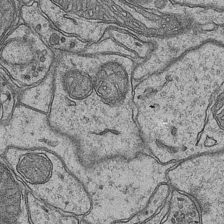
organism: Mouse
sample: CA1 Hippocampus